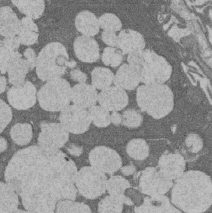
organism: Rat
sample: Salivary granule